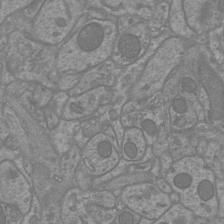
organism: Mouse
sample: Cortical neurons